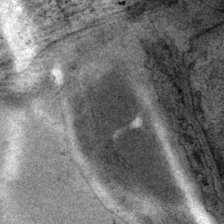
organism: P. pacificus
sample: Pharynx